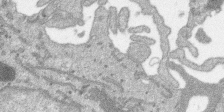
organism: Human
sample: Lung epithelial cells infected with SARS-CoV-2